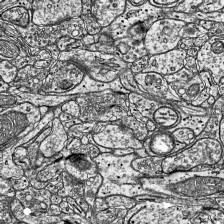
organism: Mouse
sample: Visual Cortex